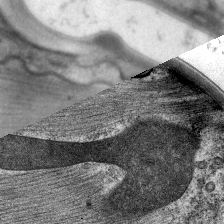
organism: C. elegans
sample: Pharynx